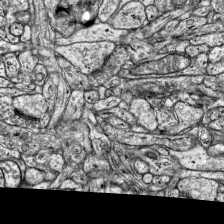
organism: Mouse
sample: Visual Cortex